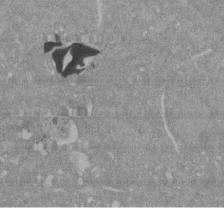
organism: Mouse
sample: ED-1 cell nuclei; centrioles